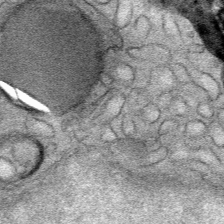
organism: Mouse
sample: Mouse Salivary gland